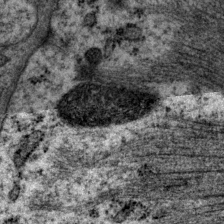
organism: P. pacificus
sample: Pharynx